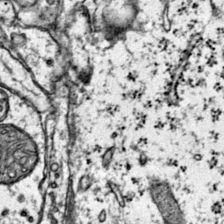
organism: Mouse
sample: Primary visual cortex